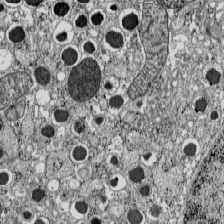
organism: C57BL Mouse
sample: Pancreatic islet